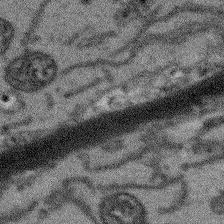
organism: Arabidopsis thaliana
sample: Root tip